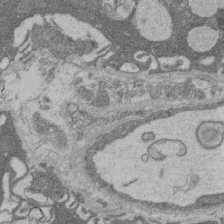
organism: Rat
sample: Salivary granule